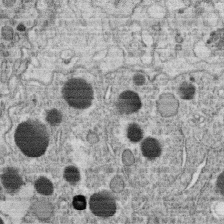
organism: C. elegans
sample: C. elegans oocyte; sperm cells